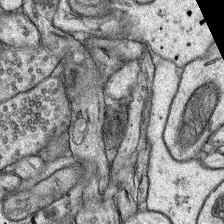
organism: Rat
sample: Hippocampus